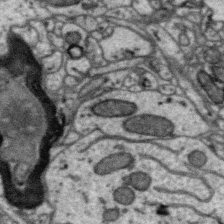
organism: Zebra finch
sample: Brain